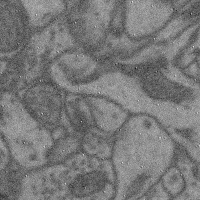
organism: Mouse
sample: Cerebral cortex